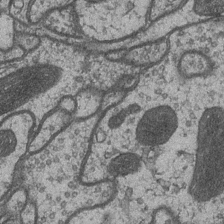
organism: Drosophila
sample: Optic medulla